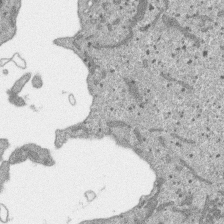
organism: Human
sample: Lung epithelial cells infected with SARS-CoV-2